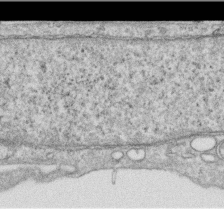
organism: Human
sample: Centriole in RPE cells